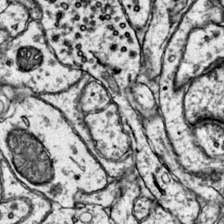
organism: Mouse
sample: Primary visual cortex